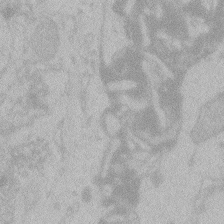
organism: Zebrafish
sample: Macrophage infected with Toxoplasma gondii